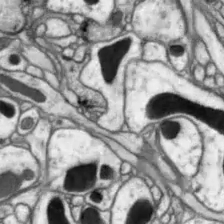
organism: Drosophila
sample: Optic lobe